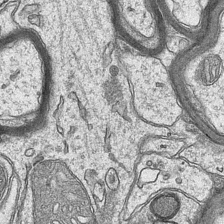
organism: Mouse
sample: CA1 Hippocampus